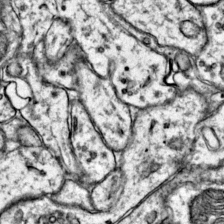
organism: Mouse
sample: Primary visual cortex